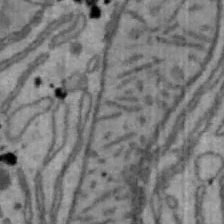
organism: Mouse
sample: Liver